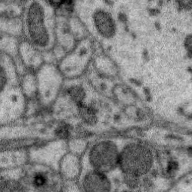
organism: Zebra finch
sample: Brain